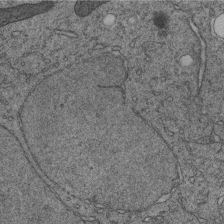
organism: C. elegans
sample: C. elegans embryo early stage